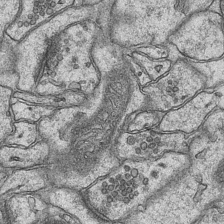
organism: Mouse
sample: CA1 Hippocampus